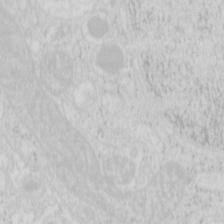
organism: Mouse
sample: Pancreas